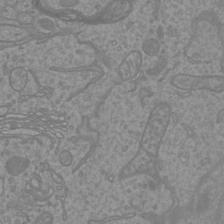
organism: Mouse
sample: Cortical neurons